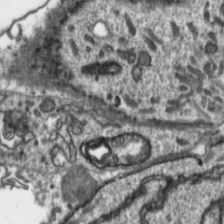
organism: Toxoplasma gondii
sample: Parasites in a vacuole inside a host cell